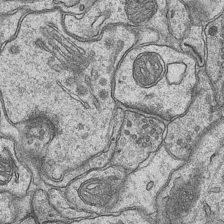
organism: Mouse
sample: CA1 Hippocampus